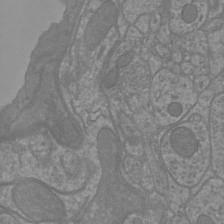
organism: Mouse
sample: Cortical neurons